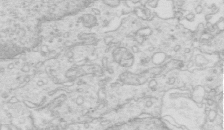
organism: Mouse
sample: Multiciliated cells